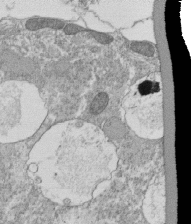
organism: Tetrahymena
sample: Cilia in tetrahymena